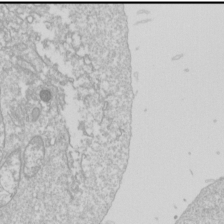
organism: Drosophila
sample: Cell division; meiosis; drosophila spermatocytes